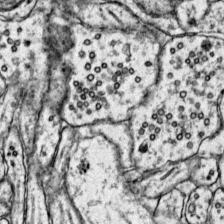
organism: Mouse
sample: Primary visual cortex